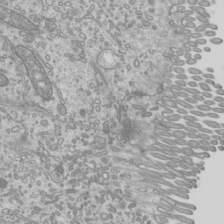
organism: Mouse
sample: Cilia; mouse epididymis